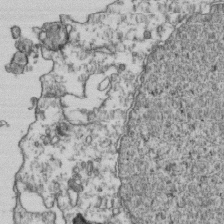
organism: Human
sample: Activated Jurkat CD4+ T cells